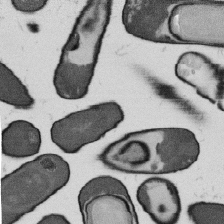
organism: B. subtilis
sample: Bacterial spore